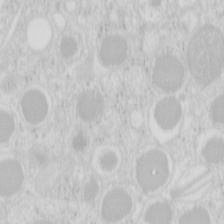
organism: Mouse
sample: Pancreas